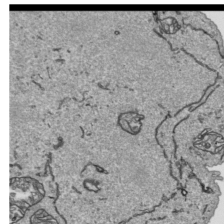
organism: Human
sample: Mitochondria in HCT116 cells